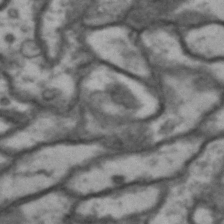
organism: Drosophila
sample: Brain